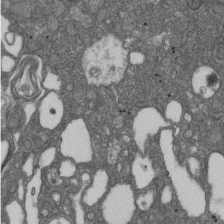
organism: Drosophila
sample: Nephrocyte